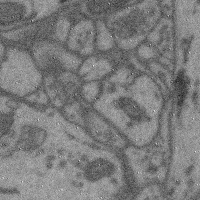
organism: Mouse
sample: Cerebral cortex